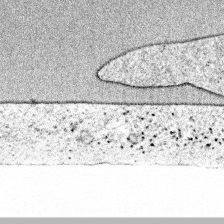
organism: Human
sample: HeLa cells